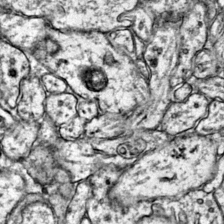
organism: Mouse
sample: Primary visual cortex